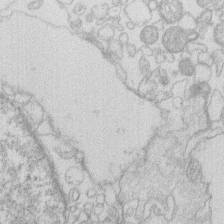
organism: Human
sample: Macrophage cells